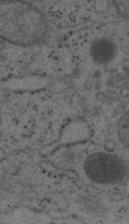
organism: Human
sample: HeLa cells